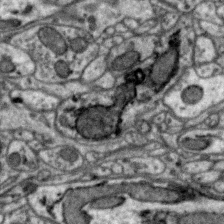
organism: Zebra finch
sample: Brain